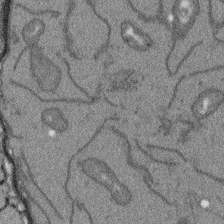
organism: Arabidopsis thaliana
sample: Root tip